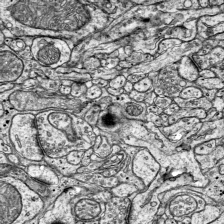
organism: Mouse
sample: Visual Cortex